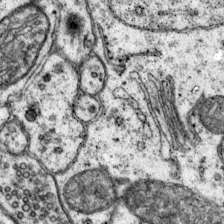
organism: Mouse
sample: Primary visual cortex